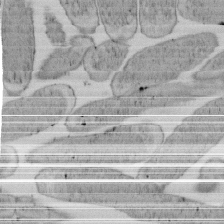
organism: E. coli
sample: Bacterial nucleoid